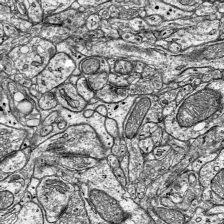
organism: Mouse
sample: Visual Cortex